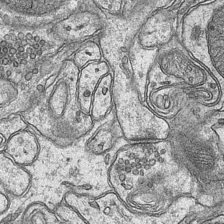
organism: Mouse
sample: CA1 Hippocampus